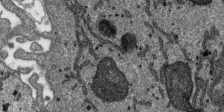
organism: Human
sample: Lung epithelial cells infected with SARS-CoV-2